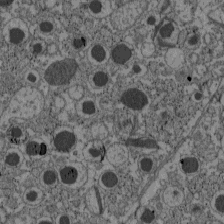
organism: C57BL Mouse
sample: Pancreatic islet